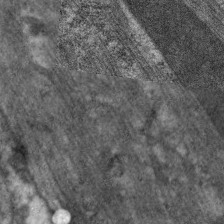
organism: C. elegans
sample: Pharynx